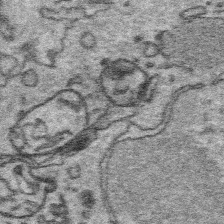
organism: Platynereis dumerilii